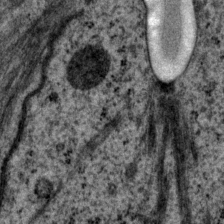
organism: P. pacificus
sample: Pharynx